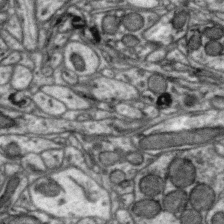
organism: Zebra finch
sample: Brain